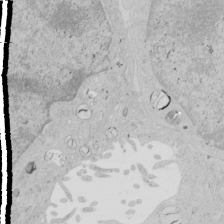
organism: Human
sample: Mitochondria in HCT116 cells